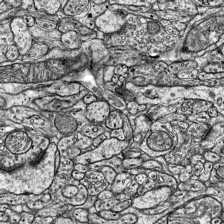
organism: Mouse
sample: Visual Cortex